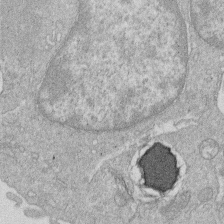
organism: Human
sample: Macrophage cells